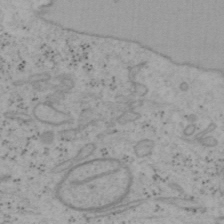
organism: Human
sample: HeLa cells